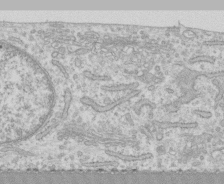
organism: Human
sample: CRL-1474